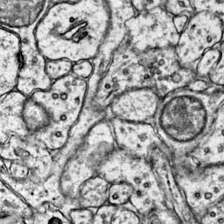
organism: Mouse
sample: Primary visual cortex